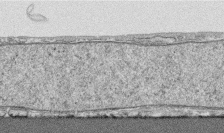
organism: Human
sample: CRL-1474